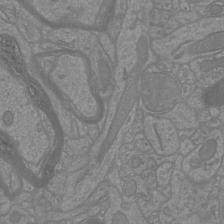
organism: Mouse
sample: Cortical neurons